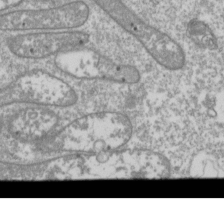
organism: Drosophila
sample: Cell division; meiosis; drosophila spermatocytes